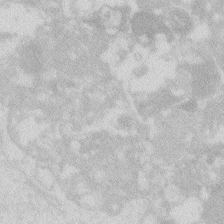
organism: Zebrafish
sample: Macrophage